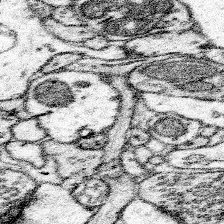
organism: Mouse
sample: Somatosensory cortex neuropil